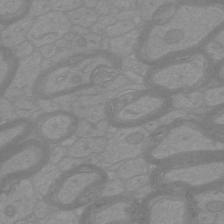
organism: Mouse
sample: Cortical neurons